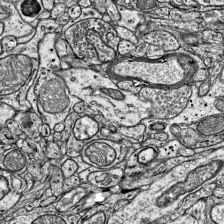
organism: Mouse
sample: Visual Cortex